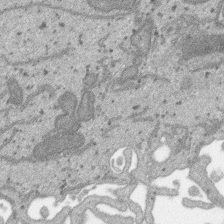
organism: Human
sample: Lung epithelial cells infected with SARS-CoV-2